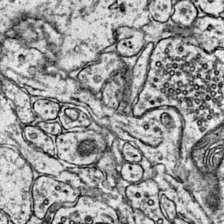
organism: Mouse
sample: Primary visual cortex